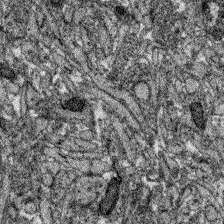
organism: Zebrafish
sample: Larval olfactory bulb